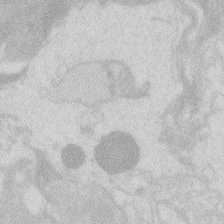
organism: Zebrafish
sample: Macrophage